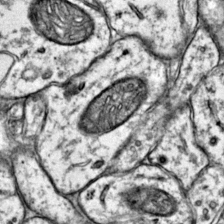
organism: Mouse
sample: Primary visual cortex